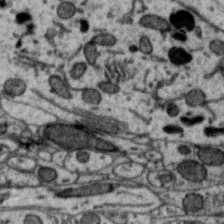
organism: Zebra finch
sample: Brain